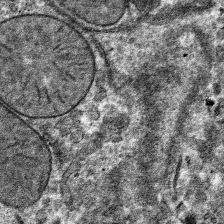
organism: Mouse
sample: Mouse hepatocytes